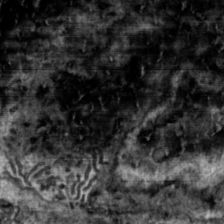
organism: Toxoplasma gondii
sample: Parasites in a vacuole inside a host cell